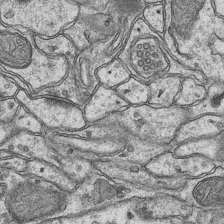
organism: Mouse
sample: CA1 Hippocampus